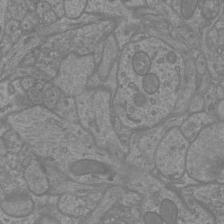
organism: Mouse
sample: Cortical neurons